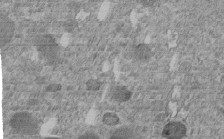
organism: C. elegans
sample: C. elegans embryo early stage